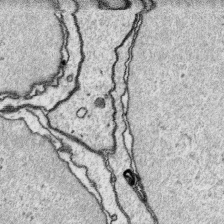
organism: Platynereis dumerilii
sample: Parapodia